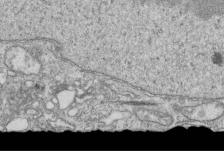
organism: Human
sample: HeLa cell HIV synapse